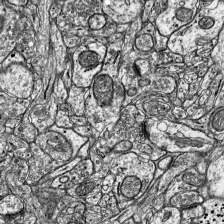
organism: Mouse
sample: Visual Cortex